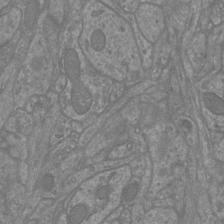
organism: Mouse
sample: Cortical neurons